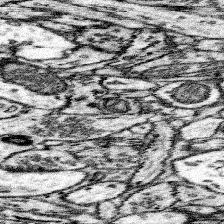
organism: Mouse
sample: Somatosensory cortex neuropil